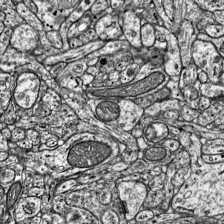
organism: Mouse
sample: Visual Cortex